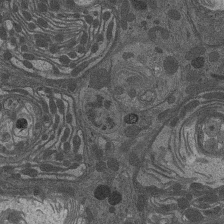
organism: Drosophila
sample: Antenna